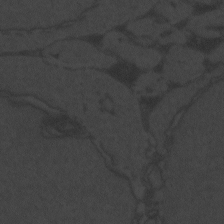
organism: Zebrafish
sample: Macrophage infected with Toxoplasma gondii